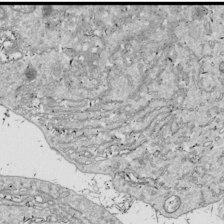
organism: Drosophila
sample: Cell division; meiosis; drosophila spermatocytes